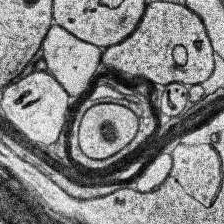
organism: Human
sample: Temporal Lobe